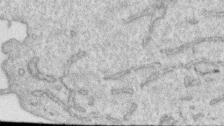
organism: Human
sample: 1205lu cells